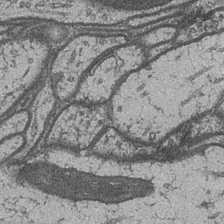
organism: Drosophila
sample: Optic medulla